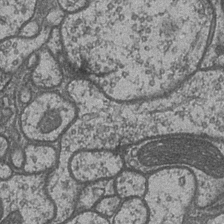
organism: Drosophila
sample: Optic medulla